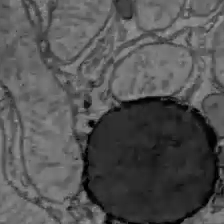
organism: C57BL Mouse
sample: Liver